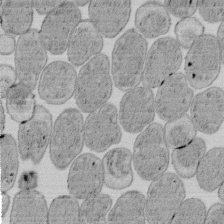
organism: E. coli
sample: Bacterial nucleoid